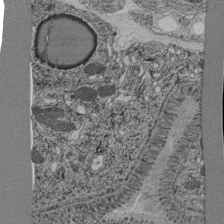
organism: C. elegans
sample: C. elegans pharynx